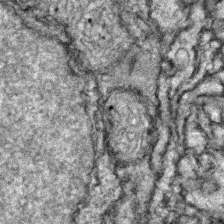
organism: Zebrafish